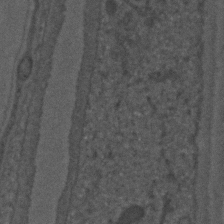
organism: C. elegans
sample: C. elegans embryo